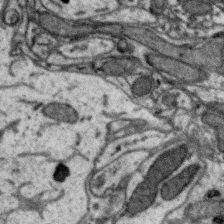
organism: Zebra finch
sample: Brain